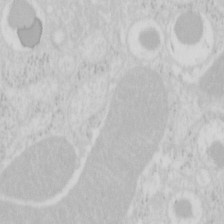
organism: Mouse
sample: Pancreas